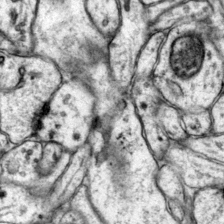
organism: Mouse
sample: Primary visual cortex